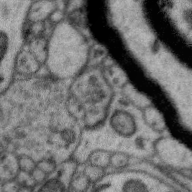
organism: Zebra finch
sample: Brain